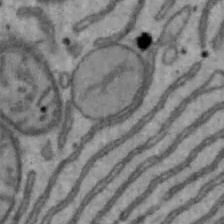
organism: Mouse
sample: Liver